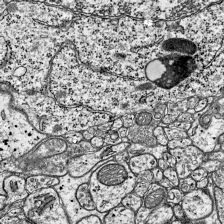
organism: Mouse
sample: Visual Cortex